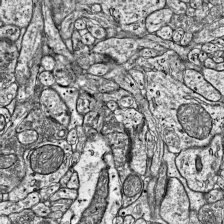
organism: Mouse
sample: Visual Cortex